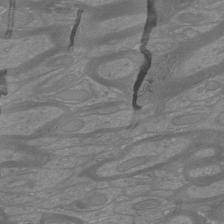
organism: Mouse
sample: Cortical neurons